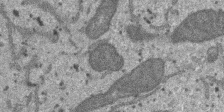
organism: Human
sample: Lung epithelial cells infected with SARS-CoV-2